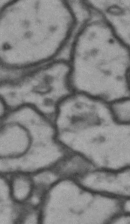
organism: Drosophila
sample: Brain